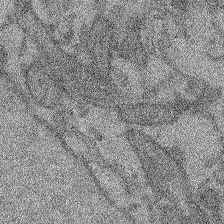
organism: Human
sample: HeLa cells